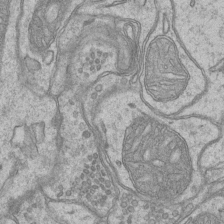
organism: Mouse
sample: CA1 Hippocampus